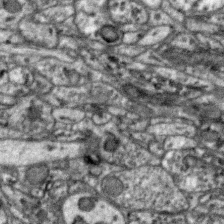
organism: Zebra finch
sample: Brain